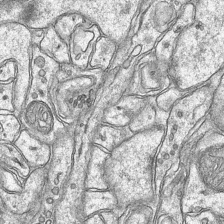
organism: Mouse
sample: CA1 Hippocampus